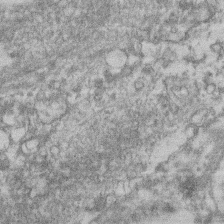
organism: Mouse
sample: T cell stromal cell synapse